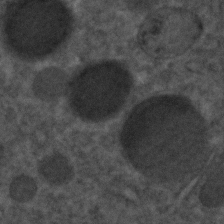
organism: C. elegans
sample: C. elegans embryo